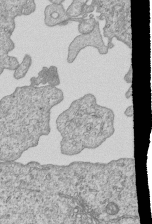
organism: Human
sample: MDA-MB-231 cells